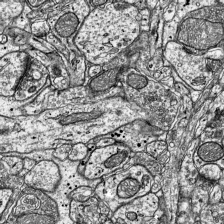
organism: Mouse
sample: Visual Cortex